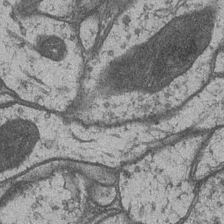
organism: Drosophila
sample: Optic medulla